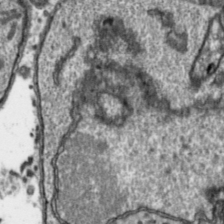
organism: Toxoplasma gondii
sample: Parasites in a vacuole inside a host cell